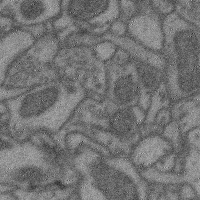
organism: Mouse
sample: Cerebral cortex